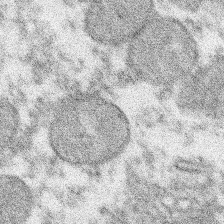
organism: Xenopus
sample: Cilia; centrioles in frog embryo cells